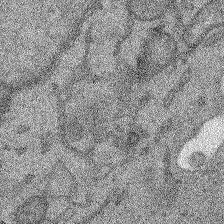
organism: Human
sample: HeLa cells